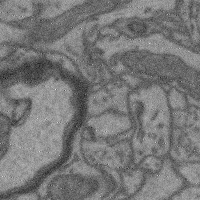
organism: Mouse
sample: Cerebral cortex